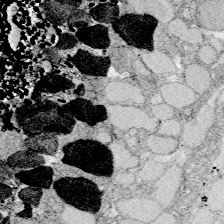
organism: Zebrafish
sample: Whole-Brain